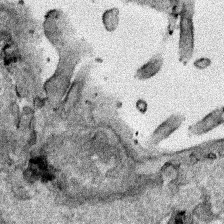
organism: Human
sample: Mitochondria in HCT116 cells